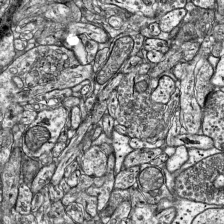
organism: Mouse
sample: Visual Cortex